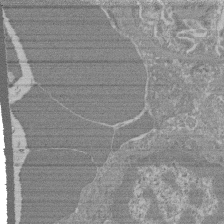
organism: Mouse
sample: Glomerulus